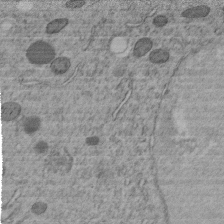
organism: C. elegans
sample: C. elegans embryo early stage